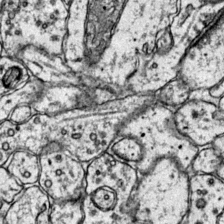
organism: Mouse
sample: Primary visual cortex